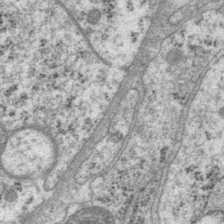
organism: P. pacificus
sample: Pharynx